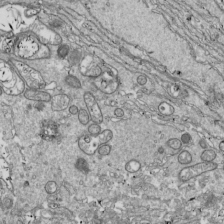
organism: Drosophila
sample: Cell division; meiosis; drosophila spermatocytes